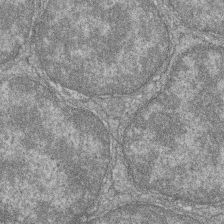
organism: Zebrafish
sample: Cilia; retinal pigment epithelium